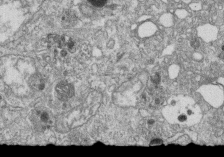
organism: Human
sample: HeLa cell HIV synapse